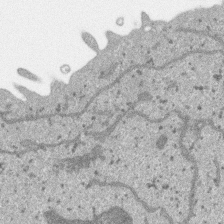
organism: Human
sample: Lung epithelial cells infected with SARS-CoV-2